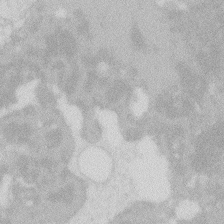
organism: Zebrafish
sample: Macrophage